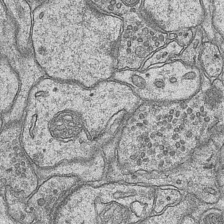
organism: Mouse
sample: CA1 Hippocampus